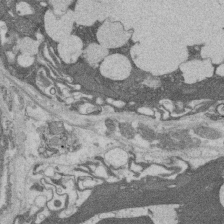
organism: Rat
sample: Salivary granule